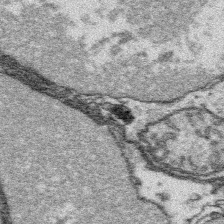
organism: Platynereis dumerilii